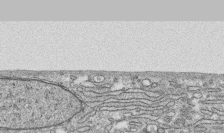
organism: Human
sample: CRL-1474